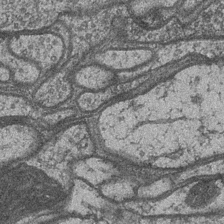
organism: Drosophila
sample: Optic medulla